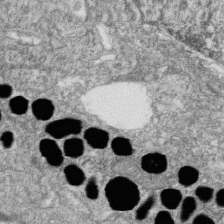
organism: Zebrafish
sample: Cilia; retinal pigment epithelium